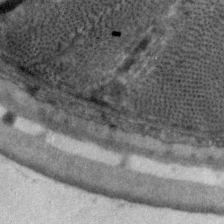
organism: C. elegans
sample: Pharynx